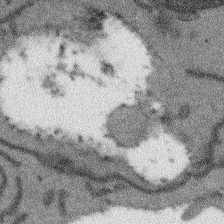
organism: Arabidopsis thaliana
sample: Root tip